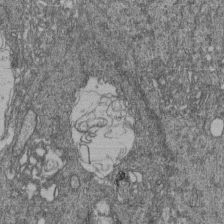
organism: Human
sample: Retinal organoid Rod and Cone cells